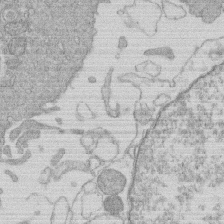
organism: Human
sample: Macrophage cells